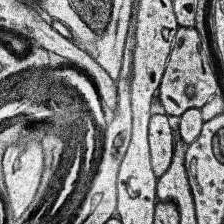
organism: Human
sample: Temporal Lobe